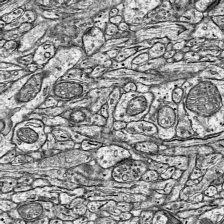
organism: Mouse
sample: Visual Cortex